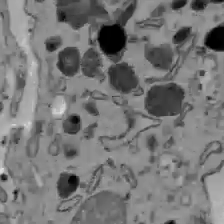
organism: C57BL Mouse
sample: Liver